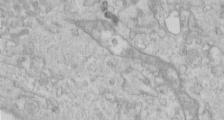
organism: Human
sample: Centriole in RPE cells